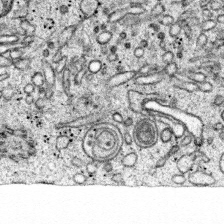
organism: Human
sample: HeLa cells